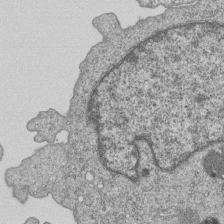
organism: Human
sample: MDA-MB-231 cells